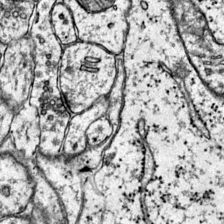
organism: Mouse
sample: Primary visual cortex